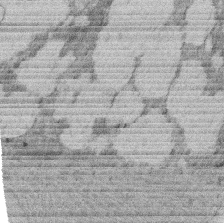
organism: Rat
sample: Salivary granule